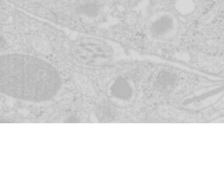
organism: Mouse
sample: Pancreas